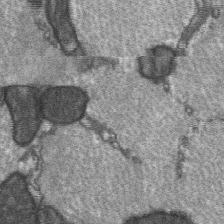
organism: C57BL Mouse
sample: Soleus